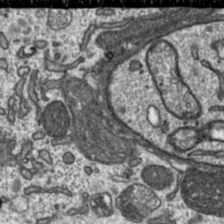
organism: Toxoplasma gondii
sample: Parasites in a vacuole inside a host cell